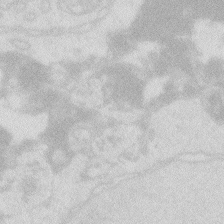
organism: Zebrafish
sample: Macrophage